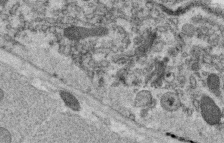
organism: C. elegans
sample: C. elegans oocyte; sperm cells